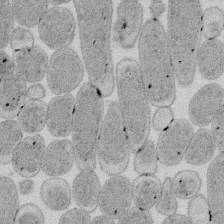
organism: E. coli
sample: Bacterial nucleoid